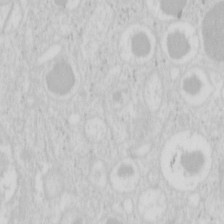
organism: Mouse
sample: Pancreas